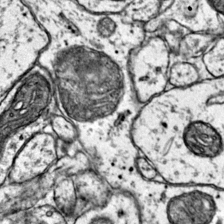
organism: Mouse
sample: Primary visual cortex